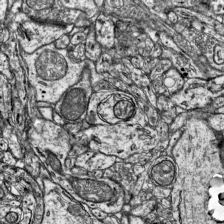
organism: Mouse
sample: Visual Cortex